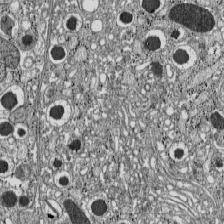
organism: C57BL Mouse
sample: Pancreatic islet